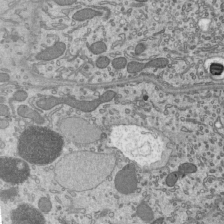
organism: Mouse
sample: Mouse epididymis efferent ductule cilia